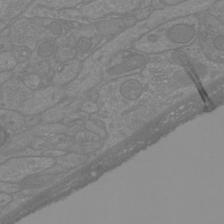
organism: Mouse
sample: Cortical neurons